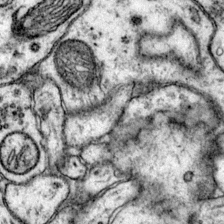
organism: Mouse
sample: Primary visual cortex